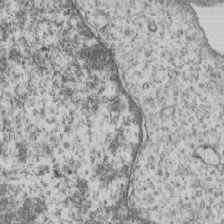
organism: Human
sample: MDA-MB-231 cells